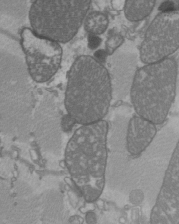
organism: C57BL Mouse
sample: Heart